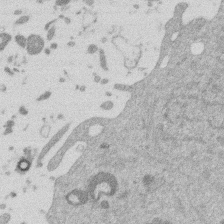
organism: Mouse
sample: Dividing mouse embryo 1 cell stage